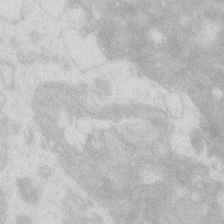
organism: Zebrafish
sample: Macrophage